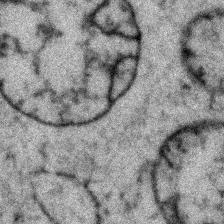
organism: Zebrafish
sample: Zebrafish embryo